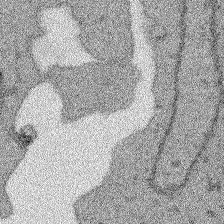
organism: Human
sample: HeLa cells